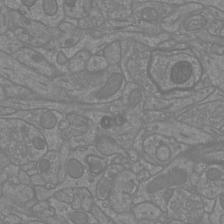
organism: Mouse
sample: Cortical neurons